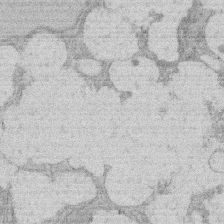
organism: Rat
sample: Salivary granule